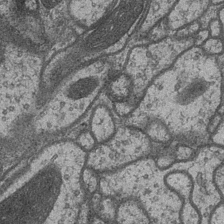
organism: Drosophila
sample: Optic medulla